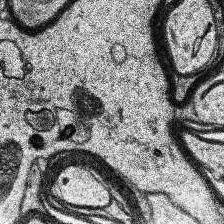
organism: Human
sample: Temporal Lobe